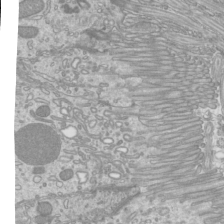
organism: Mouse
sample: Cilia; mouse epididymis